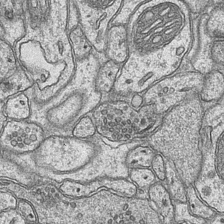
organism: Mouse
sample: CA1 Hippocampus